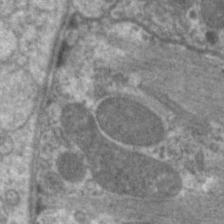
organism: C. elegans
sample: Pharynx